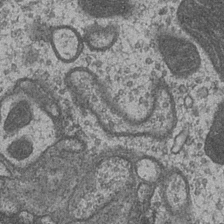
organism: Drosophila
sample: Optic medulla